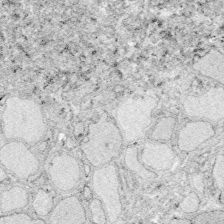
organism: Zebrafish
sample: Whole-Brain